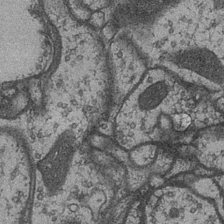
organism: Drosophila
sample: Optic medulla